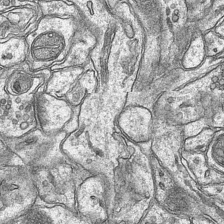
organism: Mouse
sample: CA1 Hippocampus